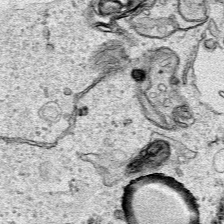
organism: Human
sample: Mitochondria in HCT116 cells